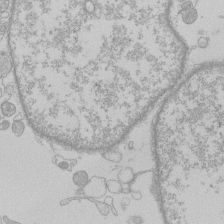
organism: Human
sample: Macrophage cells